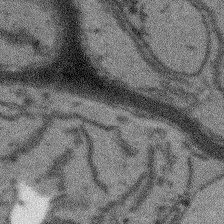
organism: Arabidopsis thaliana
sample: Root tip